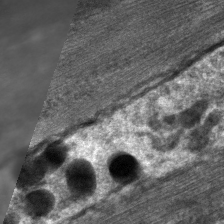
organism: C. elegans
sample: Pharynx